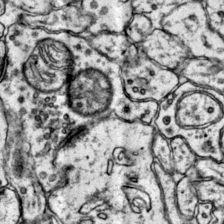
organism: Mouse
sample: Primary visual cortex